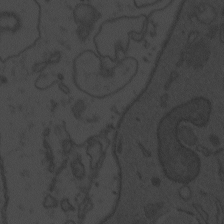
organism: Zebrafish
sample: Macrophage infected with Toxoplasma gondii